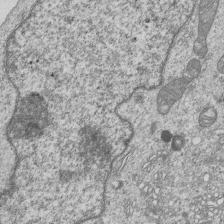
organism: Human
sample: MDA-MB-231 cells